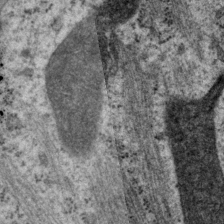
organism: P. pacificus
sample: Pharynx